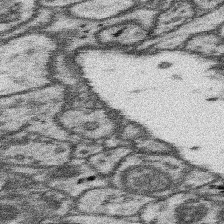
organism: Mouse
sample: Somatosensory cortex neuropil